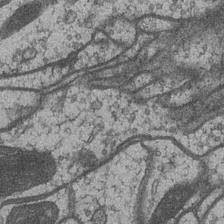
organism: Drosophila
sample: Optic medulla